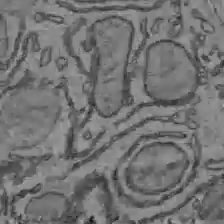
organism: C57BL Mouse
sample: Liver